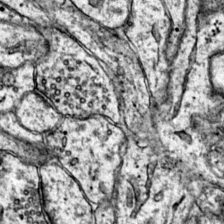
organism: Mouse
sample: Primary visual cortex